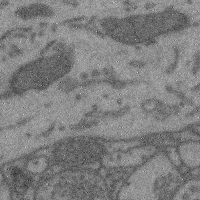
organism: Mouse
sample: Cerebral cortex